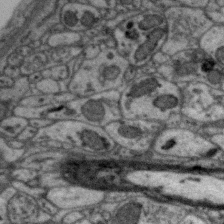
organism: Zebra finch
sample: Brain